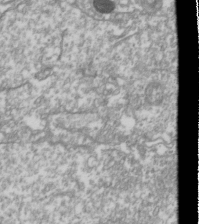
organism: Drosophila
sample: Cell division; meiosis; drosophila spermatocytes